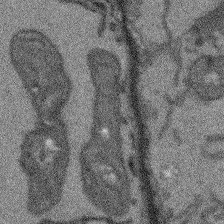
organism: Arabidopsis thaliana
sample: Root tip